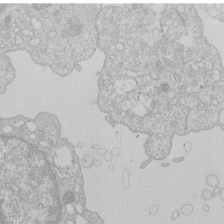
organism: Human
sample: Macrophage cells